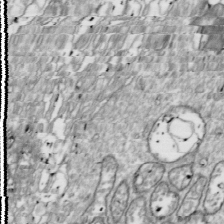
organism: Drosophila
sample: Cell division; meiosis; drosophila spermatocytes